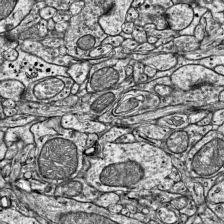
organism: Mouse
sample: Visual Cortex